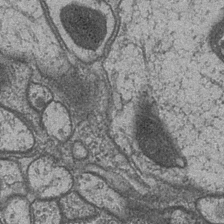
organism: Drosophila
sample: Optic medulla